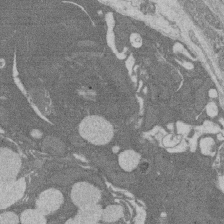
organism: Rat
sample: Salivary granule